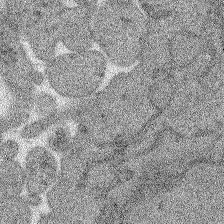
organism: Human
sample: HeLa cells